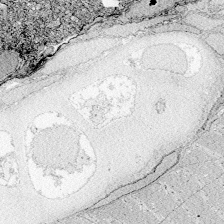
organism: Zebrafish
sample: Whole-Brain